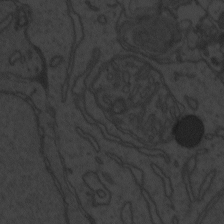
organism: Zebrafish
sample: Macrophage infected with Toxoplasma gondii